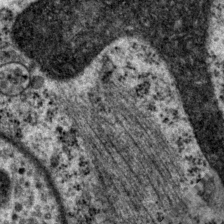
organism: P. pacificus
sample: Pharynx